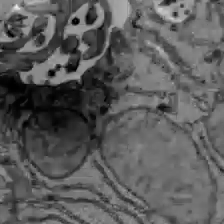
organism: C57BL Mouse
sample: Liver